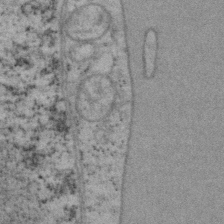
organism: Human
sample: HeLa cells